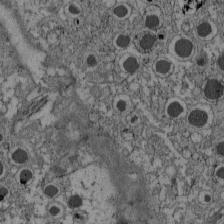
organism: C57BL Mouse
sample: Pancreatic islet